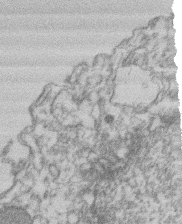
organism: Mouse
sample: T cell stromal cell synapse